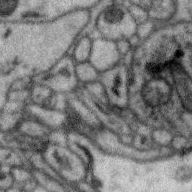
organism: Zebra finch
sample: Brain